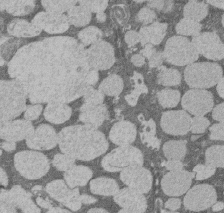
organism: Rat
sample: Salivary granule